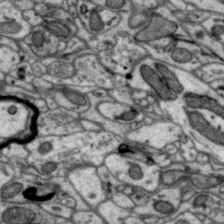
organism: Zebra finch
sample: Brain